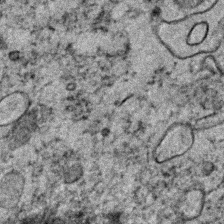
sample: Trachea